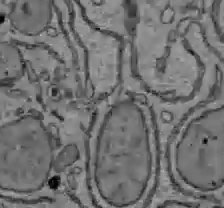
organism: C57BL Mouse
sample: Liver